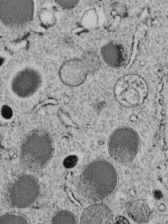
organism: C. elegans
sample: C. elegans embryo early stage